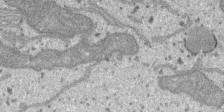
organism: Human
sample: Lung epithelial cells infected with SARS-CoV-2